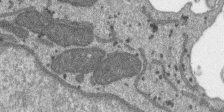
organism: Human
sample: Lung epithelial cells infected with SARS-CoV-2